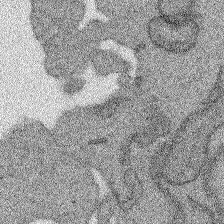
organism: Human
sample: HeLa cells